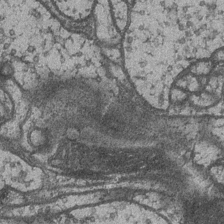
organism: Drosophila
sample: Optic medulla